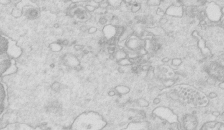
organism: Mouse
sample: Multiciliated cells